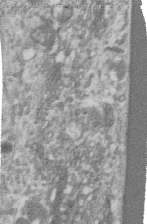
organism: Human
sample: Centriole in RPE cells